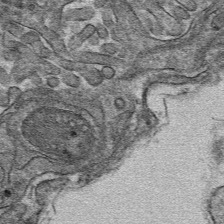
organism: Mouse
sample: Mouse hepatocytes